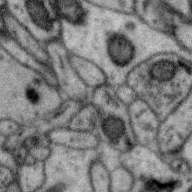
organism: Zebra finch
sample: Brain